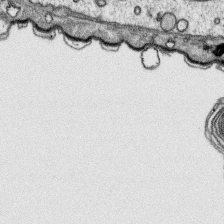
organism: Platynereis dumerilii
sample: Parapodia